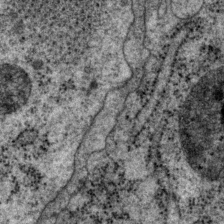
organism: P. pacificus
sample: Pharynx